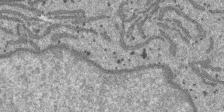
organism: Human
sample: Lung epithelial cells infected with SARS-CoV-2